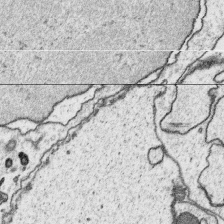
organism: Platynereis dumerilii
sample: Parapodia